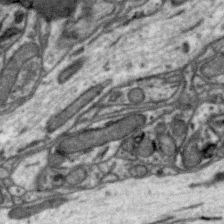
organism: Zebra finch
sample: Brain